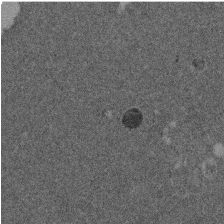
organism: Mouse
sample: Dividing mouse embryo 1 cell stage